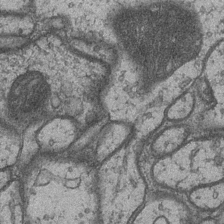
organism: Drosophila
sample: Optic medulla